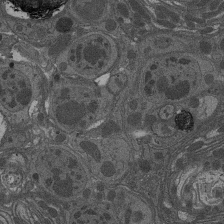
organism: Drosophila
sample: Antenna